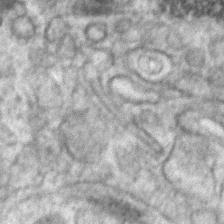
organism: Human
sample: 1205lu cells